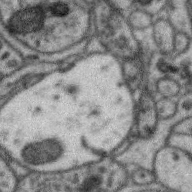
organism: Zebra finch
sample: Brain